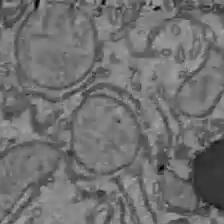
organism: C57BL Mouse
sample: Liver